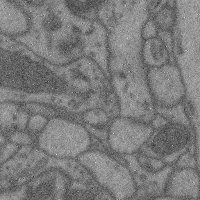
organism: Mouse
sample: Cerebral cortex